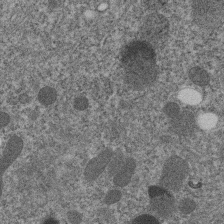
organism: C. elegans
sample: C. elegans embryo early stage